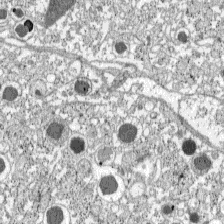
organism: C57BL Mouse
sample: Pancreatic islet